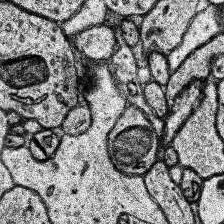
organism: Human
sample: Temporal Lobe